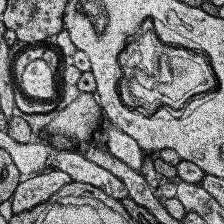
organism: Human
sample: Temporal Lobe